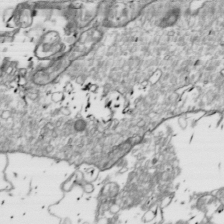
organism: Drosophila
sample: Cell division; meiosis; drosophila spermatocytes